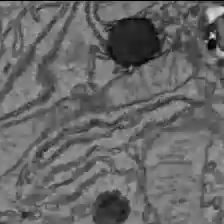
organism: C57BL Mouse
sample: Liver